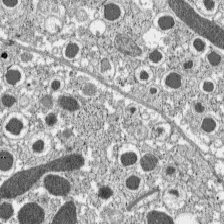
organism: C57BL Mouse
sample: Pancreatic islet